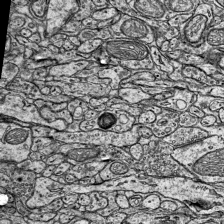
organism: Mouse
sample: Visual Cortex